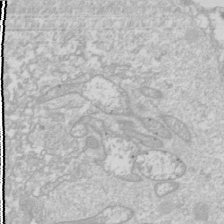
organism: Drosophila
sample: Cell division; meiosis; drosophila spermatocytes